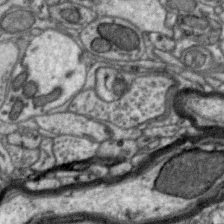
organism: Zebra finch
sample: Brain